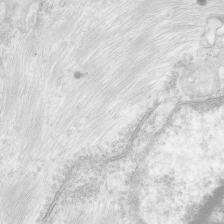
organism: Human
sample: Neocortex